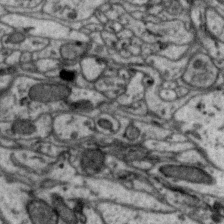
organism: Zebra finch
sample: Brain